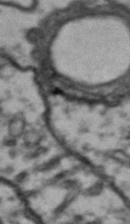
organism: Drosophila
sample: Brain